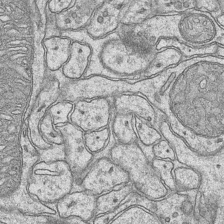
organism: Mouse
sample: CA1 Hippocampus